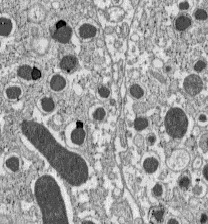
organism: C57BL Mouse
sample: Pancreatic islet